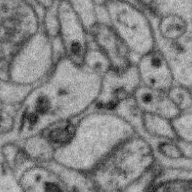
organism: Zebra finch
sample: Brain